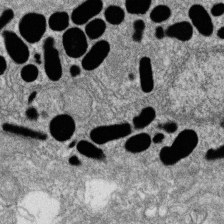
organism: Zebrafish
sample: Cilia; retinal pigment epithelium